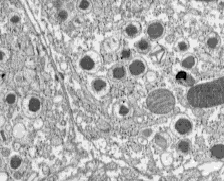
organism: C57BL Mouse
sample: Pancreatic islet